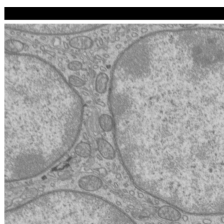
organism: Mouse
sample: Cilia; mouse epididymis